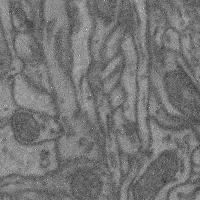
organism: Mouse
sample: Cerebral cortex